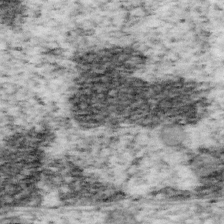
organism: Mouse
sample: OT-I killer T cells with ID8 ovarian cancer cells